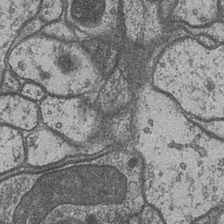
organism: Drosophila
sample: Optic medulla